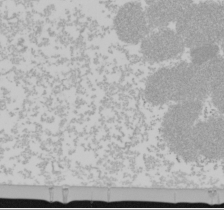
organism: Mouse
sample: Cancer cell death in ED-1 cells